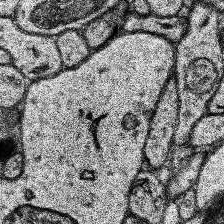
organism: Human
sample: Temporal Lobe